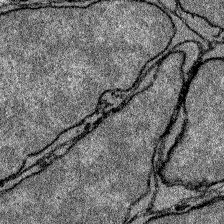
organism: Zebrafish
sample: Larval olfactory bulb